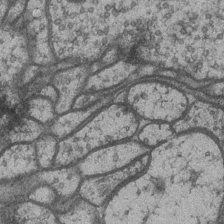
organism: Drosophila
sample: Optic medulla